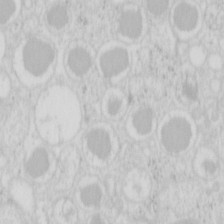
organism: Mouse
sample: Pancreas